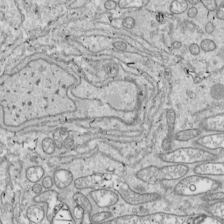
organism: Drosophila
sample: Cell division; meiosis; drosophila spermatocytes